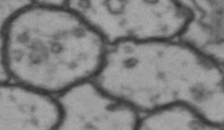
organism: Drosophila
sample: Brain